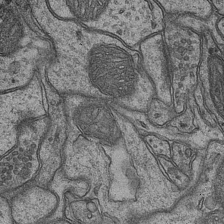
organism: Mouse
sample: CA1 Hippocampus